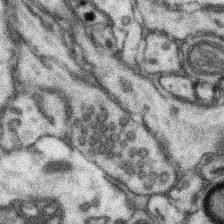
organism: Mouse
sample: Somatosensory cortex neuropil